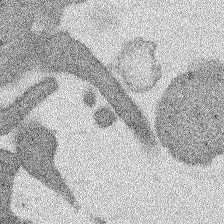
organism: Human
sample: HeLa cells